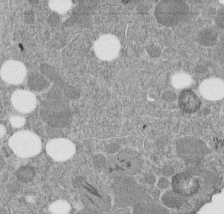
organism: C. elegans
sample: C. elegans embryo early stage